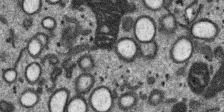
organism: Human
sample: Lung epithelial cells infected with SARS-CoV-2